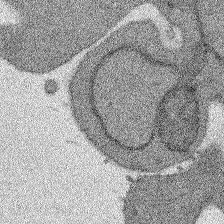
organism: Human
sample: HeLa cells